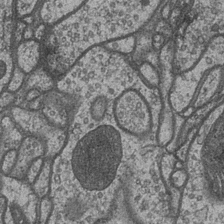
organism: Drosophila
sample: Optic medulla